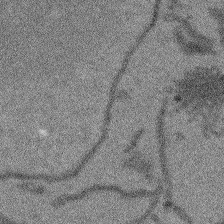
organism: Arabidopsis thaliana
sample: Root tip